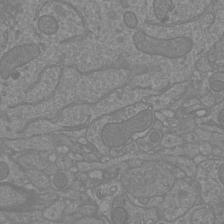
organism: Mouse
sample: Cortical neurons